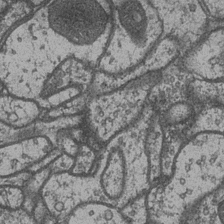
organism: Drosophila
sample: Optic medulla